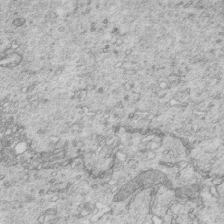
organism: Mouse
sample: Multiciliated cells